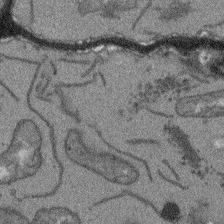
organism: Arabidopsis thaliana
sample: Root tip